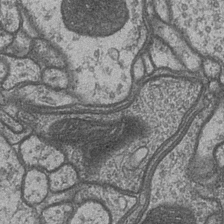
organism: Drosophila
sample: Optic medulla